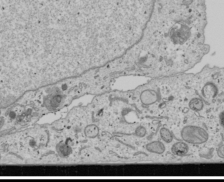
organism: Human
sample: Mitochondria in U2OS cells